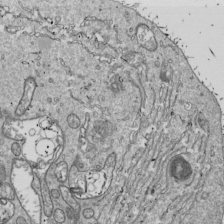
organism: Drosophila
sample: Cell division; meiosis; drosophila spermatocytes